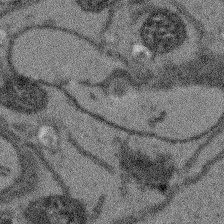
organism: Arabidopsis thaliana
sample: Root tip